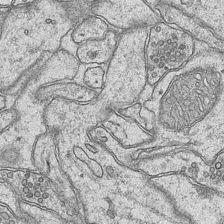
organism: Mouse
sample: CA1 Hippocampus